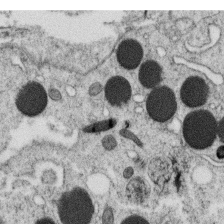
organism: C. elegans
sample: C. elegans oocyte; sperm cells